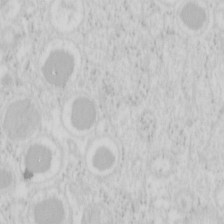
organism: Mouse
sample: Pancreas